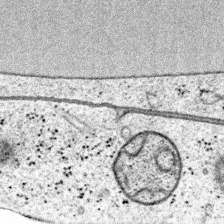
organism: Human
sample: HeLa cells